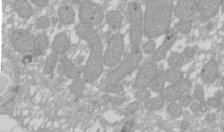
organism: Xenopus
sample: Cilia; centrioles in frog embryo cells